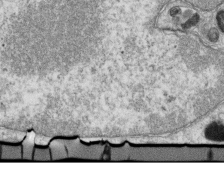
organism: Mouse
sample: Activated OT-1 CD8+ T cells